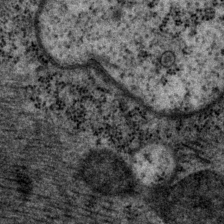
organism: P. pacificus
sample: Pharynx